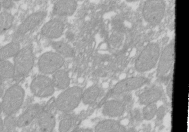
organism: Xenopus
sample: Cilia; centrioles in frog embryo cells